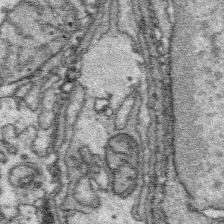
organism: Platynereis dumerilii